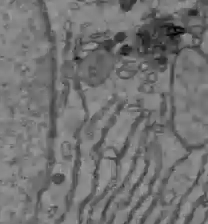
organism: C57BL Mouse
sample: Liver